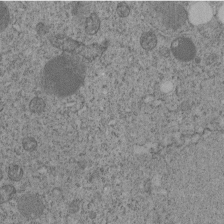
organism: C. elegans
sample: C. elegans embryo early stage